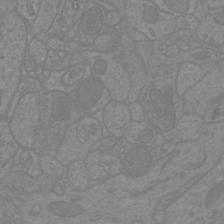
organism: Mouse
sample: Cortical neurons